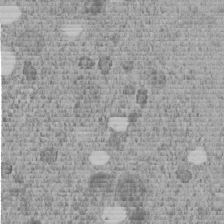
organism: C. elegans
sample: C. elegans embryo early stage